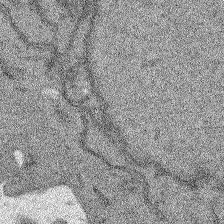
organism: Human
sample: HeLa cells